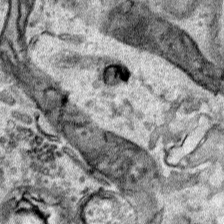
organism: Human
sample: Mitochondria in HCT116 cells